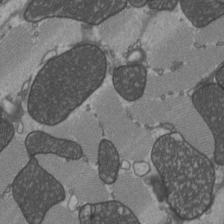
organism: C57BL Mouse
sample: Heart